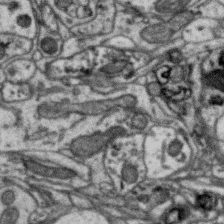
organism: Zebra finch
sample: Brain